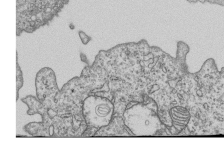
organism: Human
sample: MDA-MB-231 cells